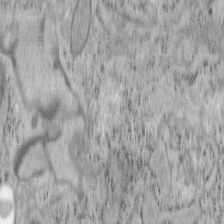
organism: Human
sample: HeLa cells